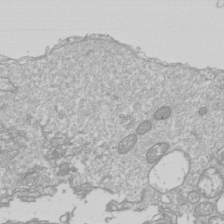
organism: Drosophila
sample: Cell division; meiosis; drosophila spermatocytes